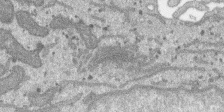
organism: Human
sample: Lung epithelial cells infected with SARS-CoV-2